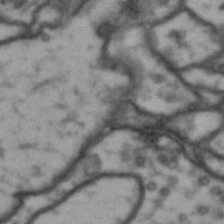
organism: Drosophila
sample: Brain